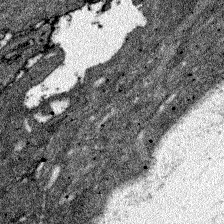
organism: Zebrafish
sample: Larval olfactory bulb